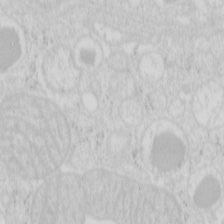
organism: Mouse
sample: Pancreas